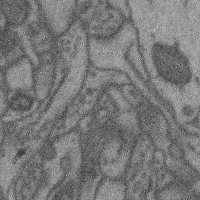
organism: Mouse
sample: Cerebral cortex